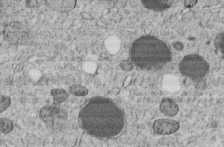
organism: C. elegans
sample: C. elegans embryo early stage